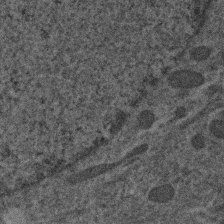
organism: Human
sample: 1205lu cells